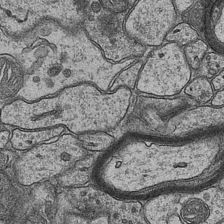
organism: Mouse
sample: CA1 Hippocampus